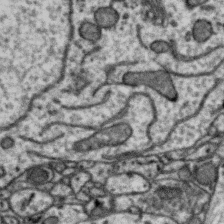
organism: Zebra finch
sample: Brain